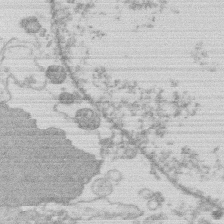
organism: Human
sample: Macrophage cells